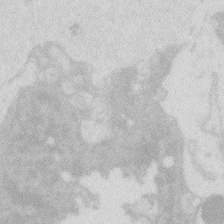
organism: Zebrafish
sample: Macrophage